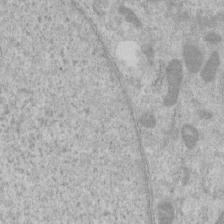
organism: Human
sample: Centriole in RPE cells